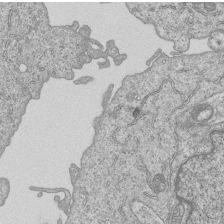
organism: Human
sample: MDA-MB-231 cells